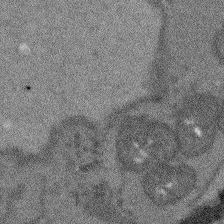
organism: Arabidopsis thaliana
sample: Root tip